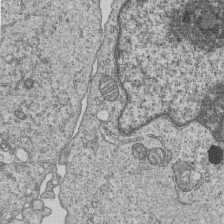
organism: Human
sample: MDA-MB-231 cells